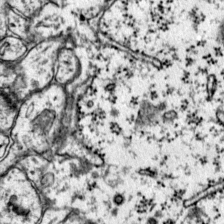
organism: Mouse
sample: Primary visual cortex